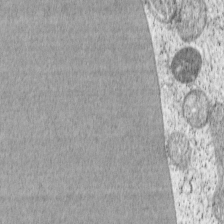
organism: African green monkey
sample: COS-7 cells